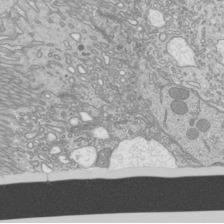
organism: Mouse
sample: Cilia; mouse epididymis